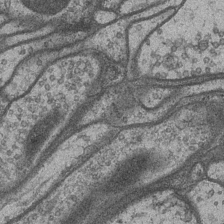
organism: Drosophila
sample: Optic medulla